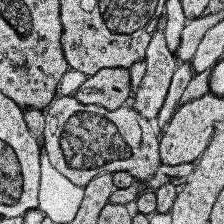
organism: Human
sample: Temporal Lobe